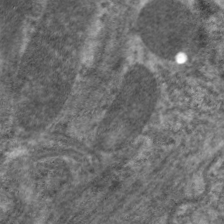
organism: C. elegans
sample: Pharynx